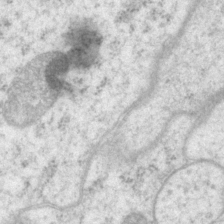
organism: P. pacificus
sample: Pharynx